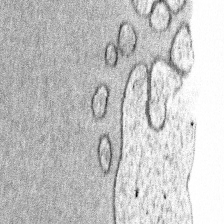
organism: Human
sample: HeLa cells